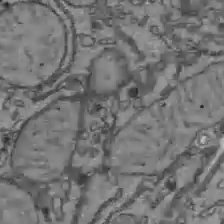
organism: C57BL Mouse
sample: Liver